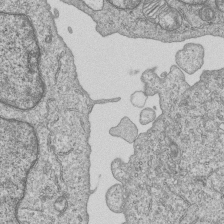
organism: Human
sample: MDA-MB-231 cells